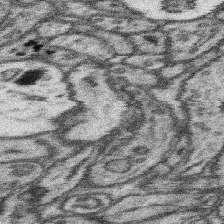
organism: Mouse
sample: Somatosensory cortex neuropil